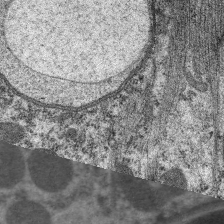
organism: C. elegans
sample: Pharynx